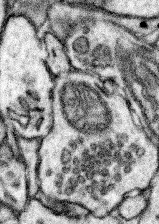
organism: Mouse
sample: Somatosensory cortex neuropil